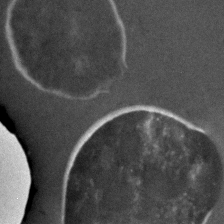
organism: C. elegans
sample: C. elegans embryo